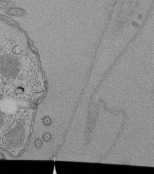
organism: Tetrahymena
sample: Cilia in tetrahymena